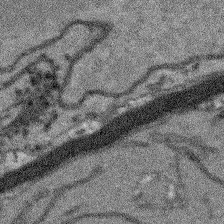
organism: Arabidopsis thaliana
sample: Root tip